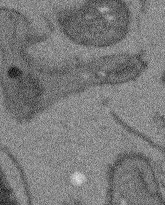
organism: Arabidopsis thaliana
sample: Root tip